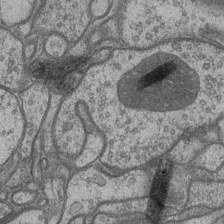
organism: Drosophila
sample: Optic medulla